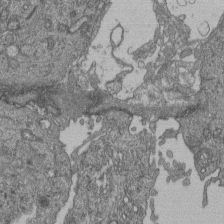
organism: Human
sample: Retinal organoid Rod and Cone cells